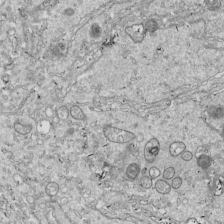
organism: Drosophila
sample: Cell division; meiosis; drosophila spermatocytes